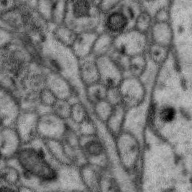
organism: Zebra finch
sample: Brain